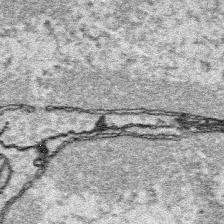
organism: Platynereis dumerilii